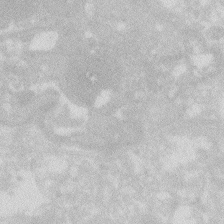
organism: Zebrafish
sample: Macrophage